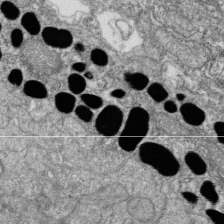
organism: Zebrafish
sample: Cilia; retinal pigment epithelium